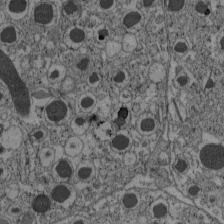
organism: C57BL Mouse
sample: Pancreatic islet